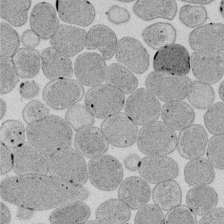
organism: E. coli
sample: Bacterial nucleoid